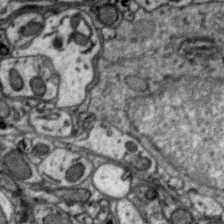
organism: Zebra finch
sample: Brain